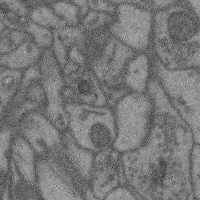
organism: Mouse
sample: Cerebral cortex